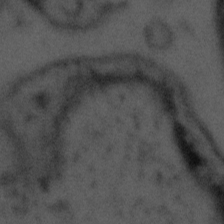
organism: Tuwongella immobilis